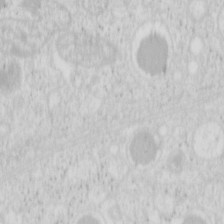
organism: Mouse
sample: Pancreas